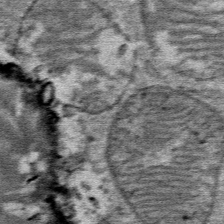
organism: Mouse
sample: Mouse Salivary gland